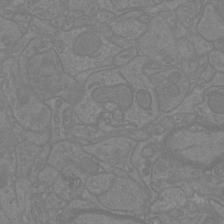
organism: Mouse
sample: Cortical neurons